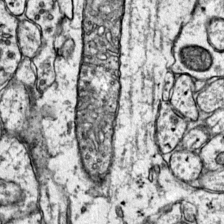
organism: Mouse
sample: Primary visual cortex